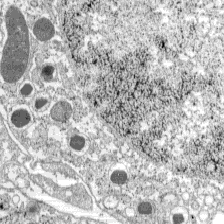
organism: C57BL Mouse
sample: Pancreatic islet